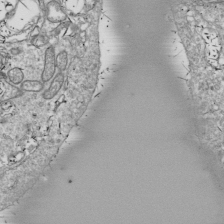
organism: Drosophila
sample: Cell division; meiosis; drosophila spermatocytes